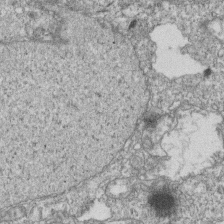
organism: Human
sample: HeLa cell HIV synapse